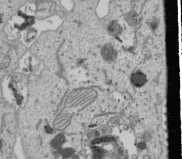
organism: Human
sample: Mitochondria in U2OS cells